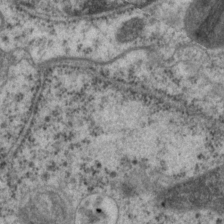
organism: P. pacificus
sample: Pharynx